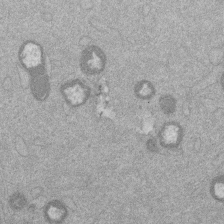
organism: Mouse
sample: Dividing mouse embryo 1 cell stage